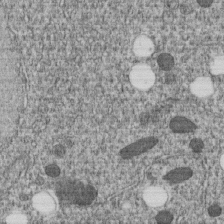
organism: C. elegans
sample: C. elegans embryo early stage